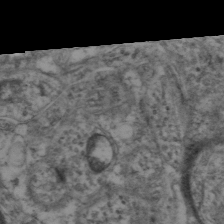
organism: Mouse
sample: Neocortex